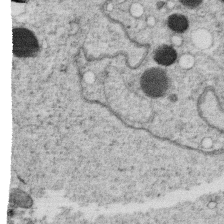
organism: C. elegans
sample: C. elegans oocyte; sperm cells